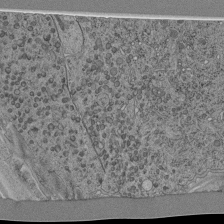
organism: C. elegans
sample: C. elegans pharynx